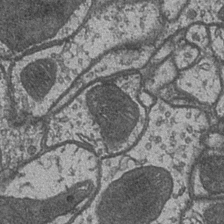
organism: Drosophila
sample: Optic medulla